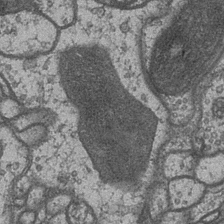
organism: Drosophila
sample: Optic medulla